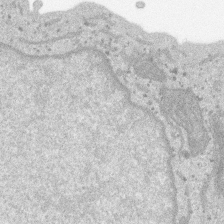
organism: Human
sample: Lung epithelial cells infected with SARS-CoV-2